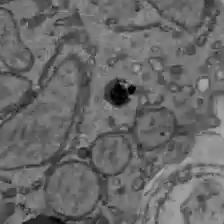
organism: C57BL Mouse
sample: Liver